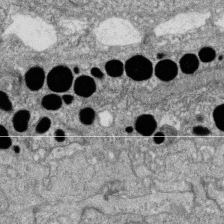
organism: Zebrafish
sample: Cilia; retinal pigment epithelium